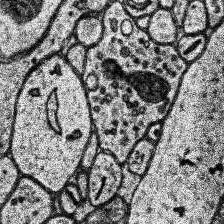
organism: Human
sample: Temporal Lobe